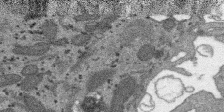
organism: Human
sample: Lung epithelial cells infected with SARS-CoV-2